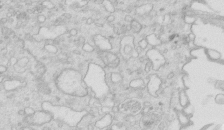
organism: Mouse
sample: Multiciliated cells